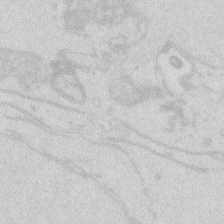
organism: Zebrafish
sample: Macrophage